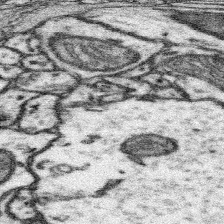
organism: Mouse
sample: Somatosensory cortex neuropil